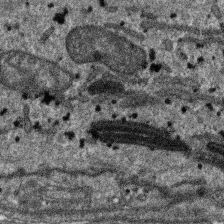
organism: Human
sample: Lung epithelial cells infected with SARS-CoV-2